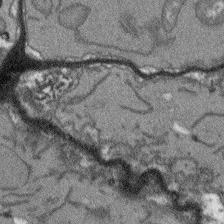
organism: Arabidopsis thaliana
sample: Root tip